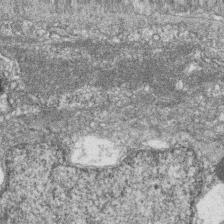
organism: Zebrafish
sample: Cilia; retinal pigment epithelium